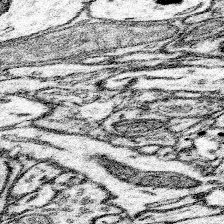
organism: Mouse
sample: Somatosensory cortex neuropil